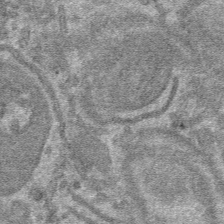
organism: Mouse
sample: Mouse hepatocytes